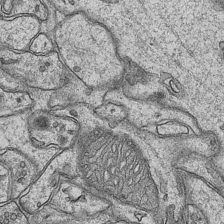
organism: Mouse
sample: CA1 Hippocampus